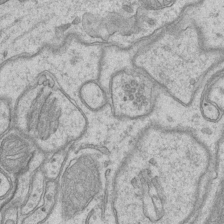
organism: Mouse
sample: CA1 Hippocampus